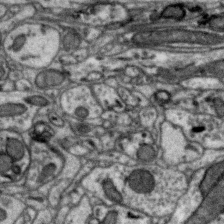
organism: Zebra finch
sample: Brain